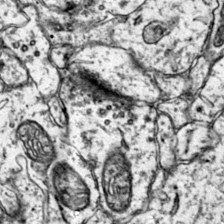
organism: Mouse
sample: Primary visual cortex